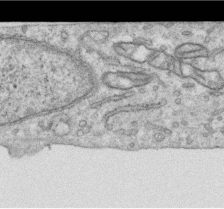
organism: Human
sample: Centriole in RPE cells